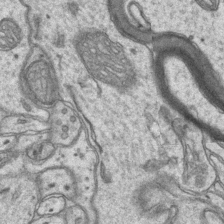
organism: Mouse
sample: CA1 Hippocampus